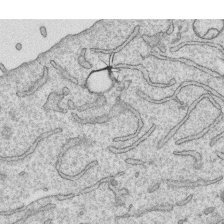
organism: Human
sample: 1205lu cells